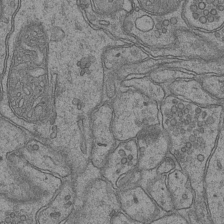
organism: Mouse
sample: CA1 Hippocampus